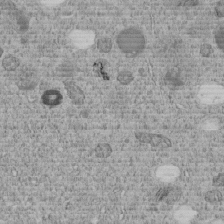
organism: C. elegans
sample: C. elegans embryo early stage